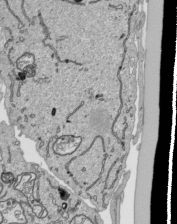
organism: Human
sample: Mitochondria in HCT116 cells